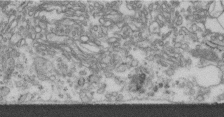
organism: Human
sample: Centriole in fibroblast cells